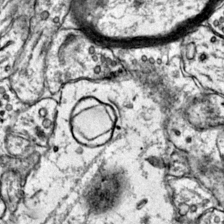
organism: Mouse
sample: Primary visual cortex